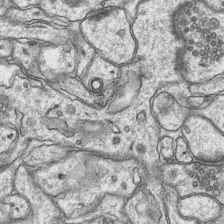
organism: Mouse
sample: CA1 Hippocampus